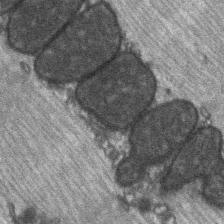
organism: C57BL Mouse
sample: Soleus